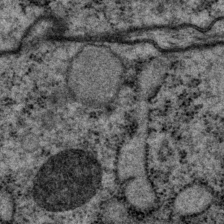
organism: P. pacificus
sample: Pharynx